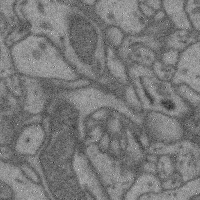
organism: Mouse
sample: Cerebral cortex